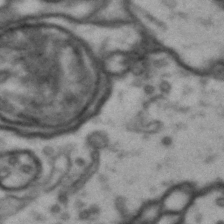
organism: Drosophila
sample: Brain